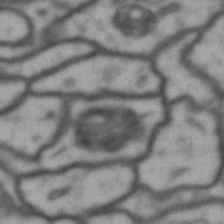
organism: Drosophila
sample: Brain